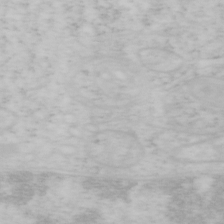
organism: Mouse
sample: OT-I killer T cells with ID8 ovarian cancer cells